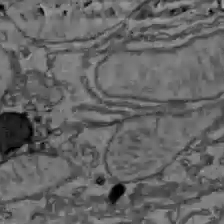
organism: C57BL Mouse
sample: Liver